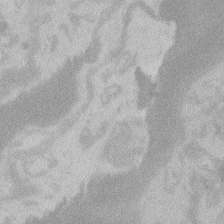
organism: Zebrafish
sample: Macrophage infected with Toxoplasma gondii